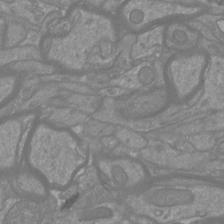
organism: Mouse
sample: Cortical neurons